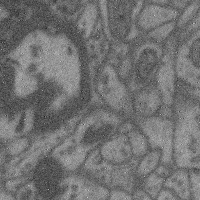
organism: Mouse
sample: Cerebral cortex